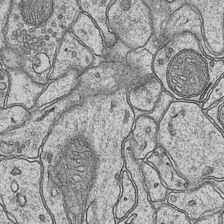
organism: Mouse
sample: CA1 Hippocampus